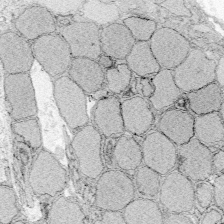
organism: Zebrafish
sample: Whole-Brain